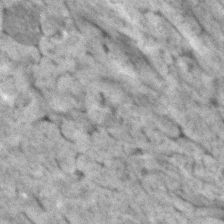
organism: Human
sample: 1205lu cells